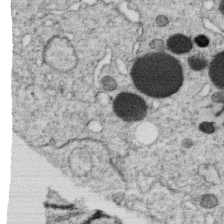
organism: C. elegans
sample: C. elegans oocyte; sperm cells